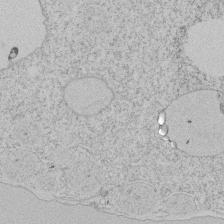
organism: Tetrahymena